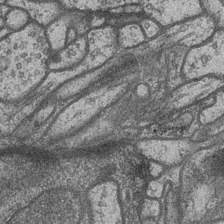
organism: Drosophila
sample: Optic medulla